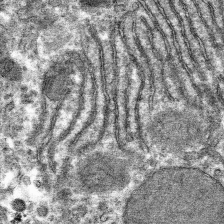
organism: Mouse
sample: Mouse hepatocytes